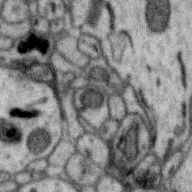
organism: Zebra finch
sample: Brain